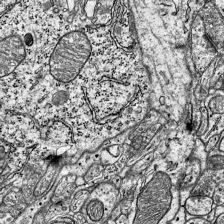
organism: Mouse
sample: Visual Cortex